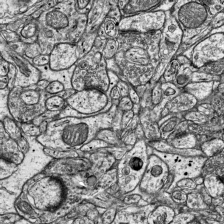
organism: Mouse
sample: Visual Cortex